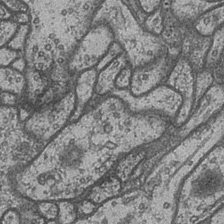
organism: Drosophila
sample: Optic medulla